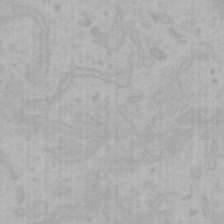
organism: Mouse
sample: Choroid plexus